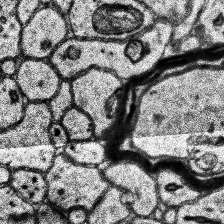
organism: Human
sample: Temporal Lobe